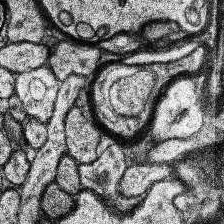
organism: Human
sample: Temporal Lobe